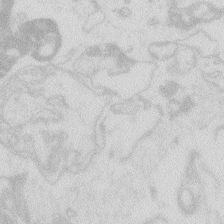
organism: Zebrafish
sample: Macrophage